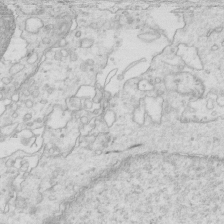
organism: Mouse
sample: Multiciliated cells